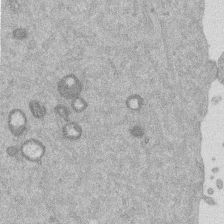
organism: Mouse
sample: Dividing mouse embryo 1 cell stage